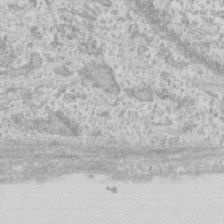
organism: Human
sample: Fibroblast cells